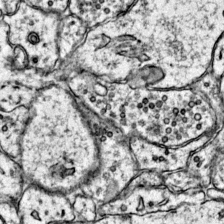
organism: Mouse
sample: Primary visual cortex